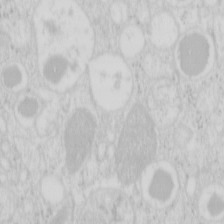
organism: Mouse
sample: Pancreas